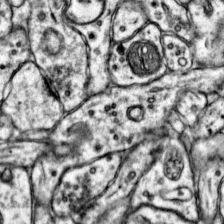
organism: Mouse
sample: Primary visual cortex